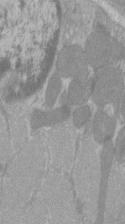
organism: C57BL Mouse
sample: Tibialis anterior muscle cell